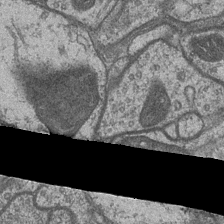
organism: Drosophila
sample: Optic medulla